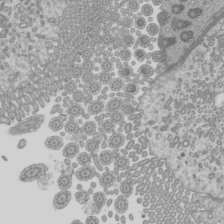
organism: Mouse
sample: Cilia; mouse epididymis